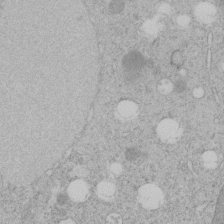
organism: C. elegans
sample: C. elegans embryo early stage